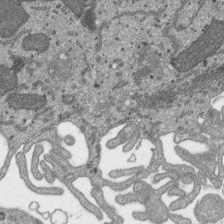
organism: Human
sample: Lung epithelial cells infected with SARS-CoV-2